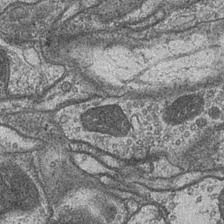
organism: Drosophila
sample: Optic medulla